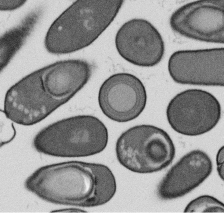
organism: B. subtilis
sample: Bacterial spore